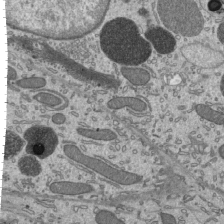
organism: Mouse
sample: Mouse epididymis efferent ductule cilia